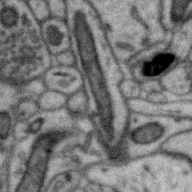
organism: Zebra finch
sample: Brain